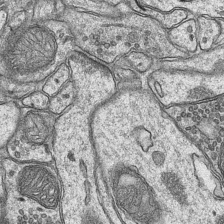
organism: Mouse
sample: CA1 Hippocampus